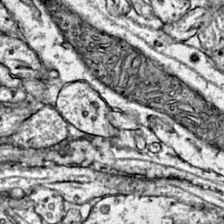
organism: Mouse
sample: Primary visual cortex